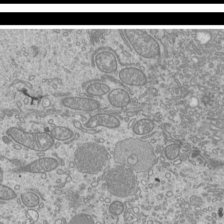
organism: Mouse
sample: Cilia; mouse epididymis